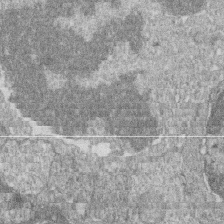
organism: Zebrafish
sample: Cilia; retinal pigment epithelium